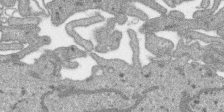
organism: Human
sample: Lung epithelial cells infected with SARS-CoV-2